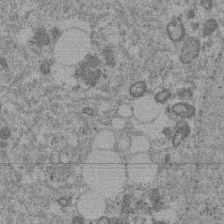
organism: Mouse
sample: Dividing mouse embryo 1 cell stage